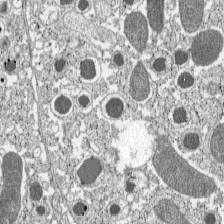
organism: C57BL Mouse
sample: Pancreatic islet